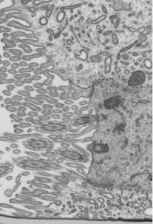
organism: Mouse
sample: Mouse epididymis efferent ductule cilia